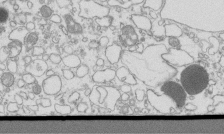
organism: Mouse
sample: Macrophages